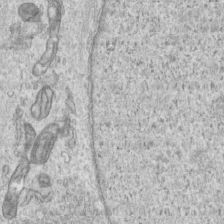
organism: Human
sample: Centriole in RPE cells